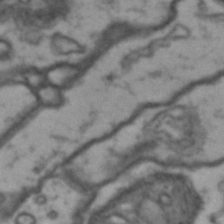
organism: Drosophila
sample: Brain